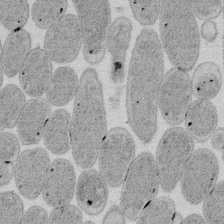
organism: E. coli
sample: Bacterial nucleoid